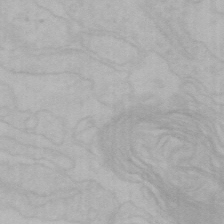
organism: Mouse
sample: Choroid plexus